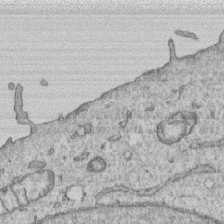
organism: Human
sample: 1205lu cells